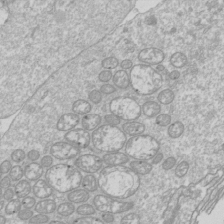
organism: Drosophila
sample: Cell division; meiosis; drosophila spermatocytes